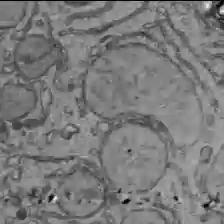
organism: C57BL Mouse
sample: Liver